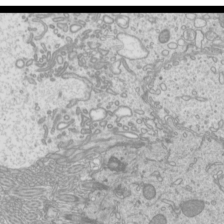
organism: Mouse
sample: Cilia; mouse epididymis